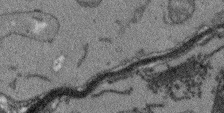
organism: Arabidopsis thaliana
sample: Root tip